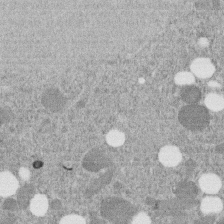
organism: C. elegans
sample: C. elegans embryo early stage